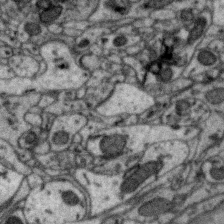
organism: Zebra finch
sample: Brain